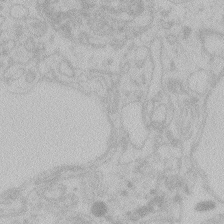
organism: Zebrafish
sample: Macrophage infected with Toxoplasma gondii